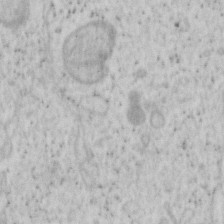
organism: Human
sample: HeLa cells